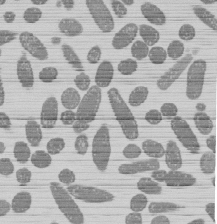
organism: E. coli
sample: Bacterial nucleoid